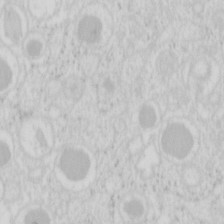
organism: Mouse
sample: Pancreas